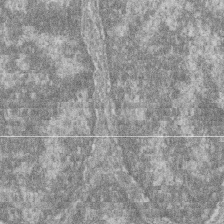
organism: Zebrafish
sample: Cilia; retinal pigment epithelium